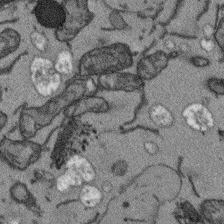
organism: Arabidopsis thaliana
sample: Root tip